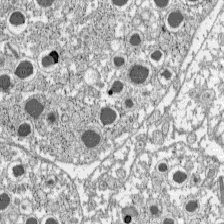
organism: C57BL Mouse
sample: Pancreatic islet